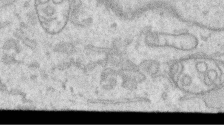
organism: Human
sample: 1205lu cells